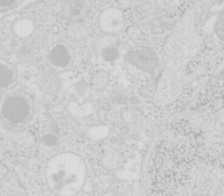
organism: Mouse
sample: Pancreas